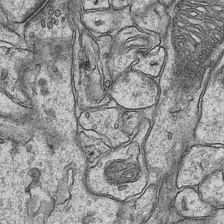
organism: Mouse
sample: CA1 Hippocampus